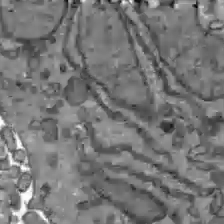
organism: C57BL Mouse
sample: Liver